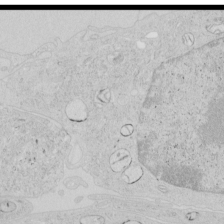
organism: Human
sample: Mitochondria in HCT116 cells